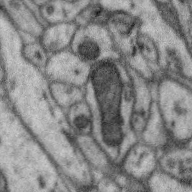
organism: Zebra finch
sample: Brain